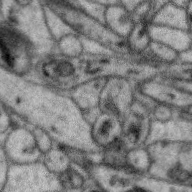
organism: Zebra finch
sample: Brain